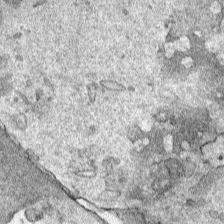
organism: Human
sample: Mitochondria in HCT116 cells